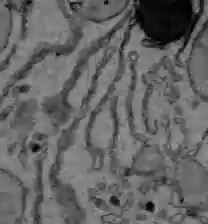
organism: C57BL Mouse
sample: Liver